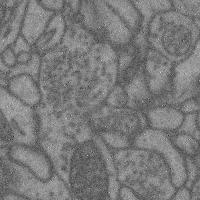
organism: Mouse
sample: Cerebral cortex